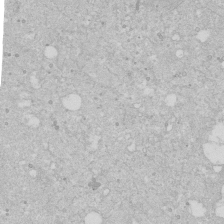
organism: Human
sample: Caco-2 cells